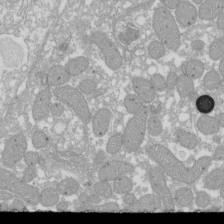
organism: Xenopus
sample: Cilia; centrioles in frog embryo cells